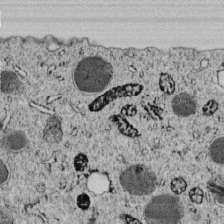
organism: C. elegans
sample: C. elegans embryo early stage